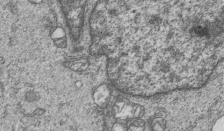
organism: Human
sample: MDA-MB-231 cells